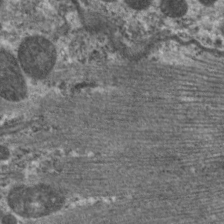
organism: C. elegans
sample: Pharynx